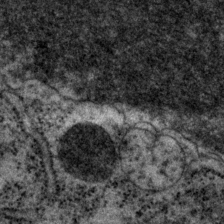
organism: P. pacificus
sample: Pharynx